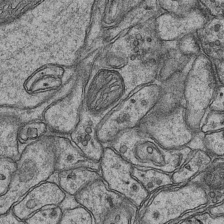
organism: Mouse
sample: CA1 Hippocampus